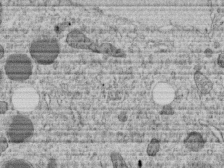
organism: C. elegans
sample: C. elegans embryo early stage